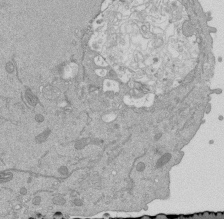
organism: Mouse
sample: ED-1 cell nuclei; centrioles